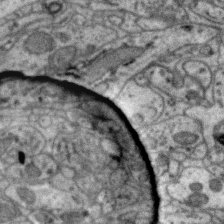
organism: Zebra finch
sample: Brain